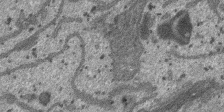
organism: Human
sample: Lung epithelial cells infected with SARS-CoV-2